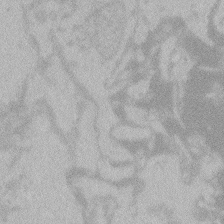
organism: Zebrafish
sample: Macrophage infected with Toxoplasma gondii